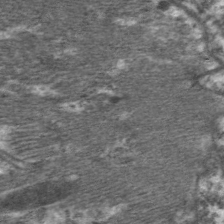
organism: C. elegans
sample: Pharynx